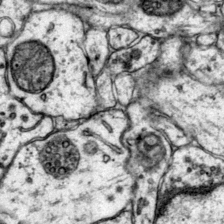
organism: Mouse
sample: Primary visual cortex